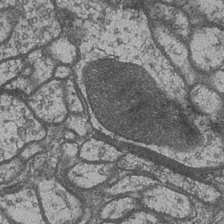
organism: Drosophila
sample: Optic medulla